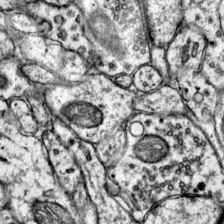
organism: Mouse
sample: Primary visual cortex